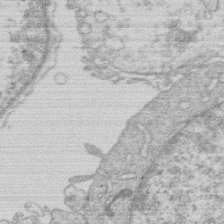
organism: Human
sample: Macrophage cells